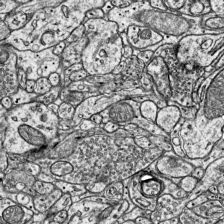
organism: Mouse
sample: Visual Cortex